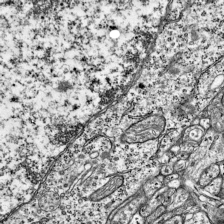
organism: Mouse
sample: Visual Cortex